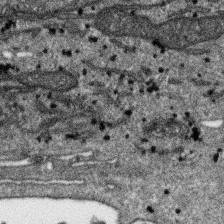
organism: Human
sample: Lung epithelial cells infected with SARS-CoV-2